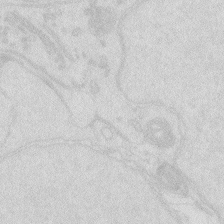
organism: Zebrafish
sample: Macrophage